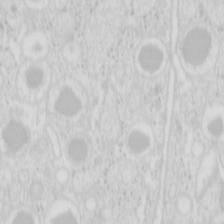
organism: Mouse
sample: Pancreas